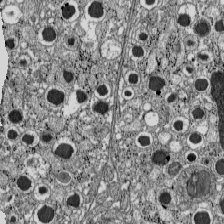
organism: C57BL Mouse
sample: Pancreatic islet